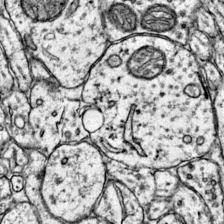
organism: Mouse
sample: Primary visual cortex